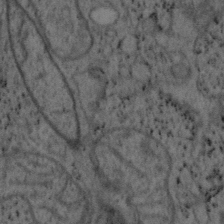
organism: Human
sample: HeLa cells